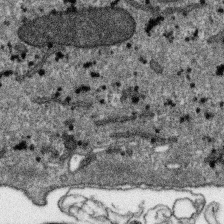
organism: Human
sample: Lung epithelial cells infected with SARS-CoV-2